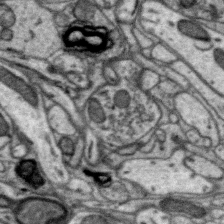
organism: Zebra finch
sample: Brain